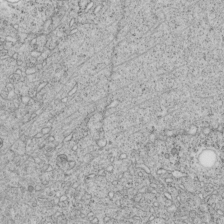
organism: C. elegans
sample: C. elegans embryo early stage